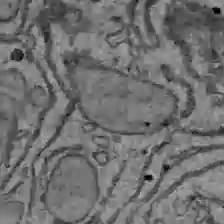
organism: C57BL Mouse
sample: Liver